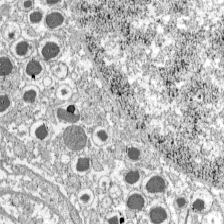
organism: C57BL Mouse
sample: Pancreatic islet